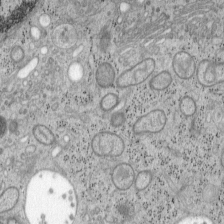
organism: Mouse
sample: OT-I killer T cells with ID8 ovarian cancer cells